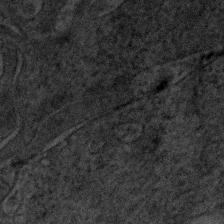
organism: Human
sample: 1205lu cells